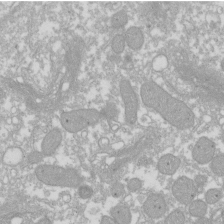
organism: Xenopus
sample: Cilia; centrioles in frog embryo cells